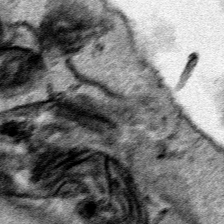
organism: Human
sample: Mitochondria in HCT116 cells